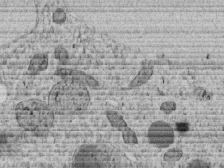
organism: C. elegans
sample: C. elegans embryo early stage